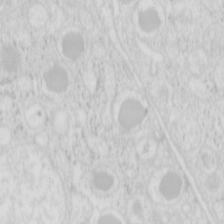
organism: Mouse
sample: Pancreas